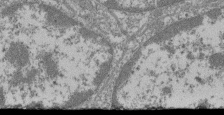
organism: Mouse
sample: Glomerulus